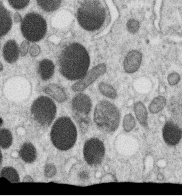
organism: C. elegans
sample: C. elegans oocyte; sperm cells